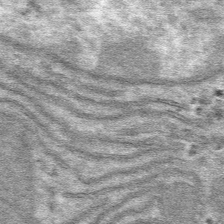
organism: Mouse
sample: Mouse hepatocytes